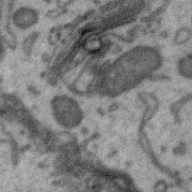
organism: Zebra finch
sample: Brain